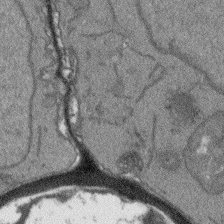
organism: Arabidopsis thaliana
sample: Root tip